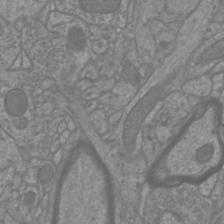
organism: Mouse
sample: Cortical neurons